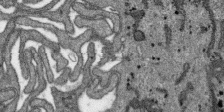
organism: Human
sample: Lung epithelial cells, uninfected (mock) control